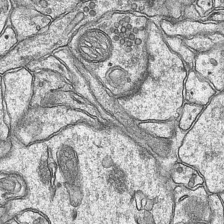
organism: Mouse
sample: CA1 Hippocampus